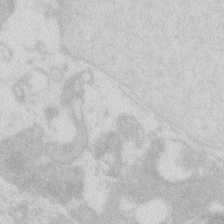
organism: Zebrafish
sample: Macrophage